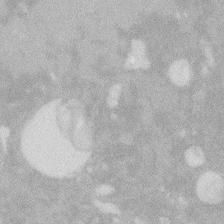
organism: Zebrafish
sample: Macrophage